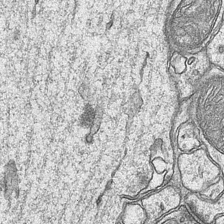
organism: Mouse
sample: CA1 Hippocampus